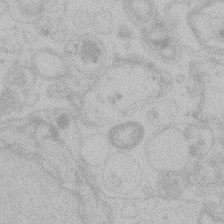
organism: Zebrafish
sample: Macrophage infected with Toxoplasma gondii